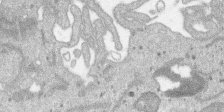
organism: Human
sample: Lung epithelial cells infected with SARS-CoV-2